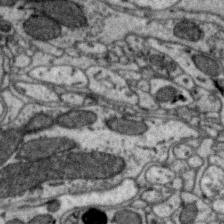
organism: Zebra finch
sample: Brain